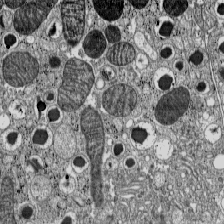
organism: C57BL Mouse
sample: Pancreatic islet